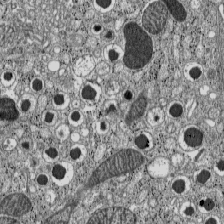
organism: C57BL Mouse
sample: Pancreatic islet